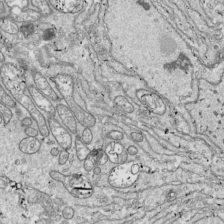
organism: Drosophila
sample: Cell division; meiosis; drosophila spermatocytes